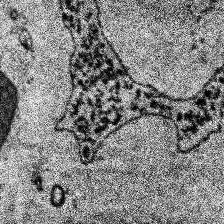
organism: Human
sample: Temporal Lobe